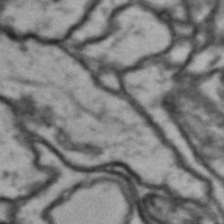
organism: Drosophila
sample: Brain